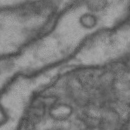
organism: Drosophila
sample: Brain